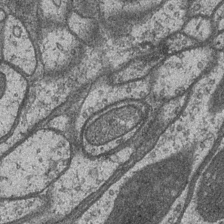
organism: Drosophila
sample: Optic medulla